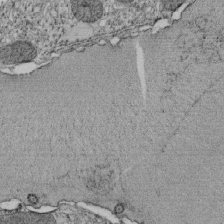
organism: Tetrahymena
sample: Cilia in tetrahymena